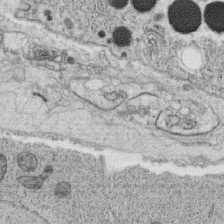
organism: C. elegans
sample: C. elegans oocyte; sperm cells